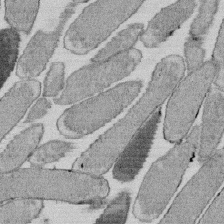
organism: E. coli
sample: Bacterial nucleoid